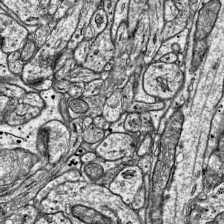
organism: Mouse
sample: Visual Cortex